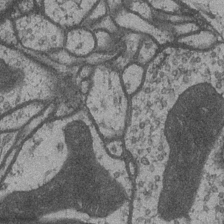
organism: Drosophila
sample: Optic medulla